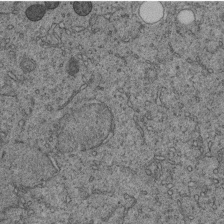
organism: C. elegans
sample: C. elegans embryo early stage